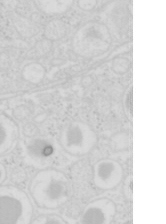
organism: Mouse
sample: Pancreas